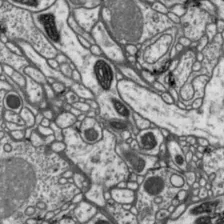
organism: Drosophila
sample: Protocerebral bridge